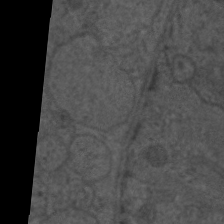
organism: C. elegans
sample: Pharynx